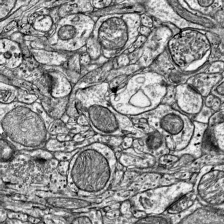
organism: Mouse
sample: Visual Cortex